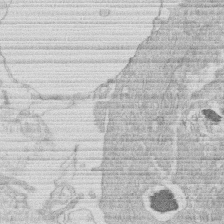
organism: Human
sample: Macrophage cells